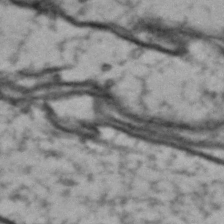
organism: Drosophila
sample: Brain